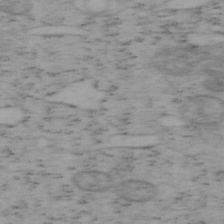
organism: Mouse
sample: OT-I killer T cells with ID8 ovarian cancer cells